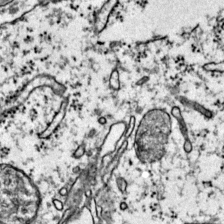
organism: Mouse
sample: Primary visual cortex